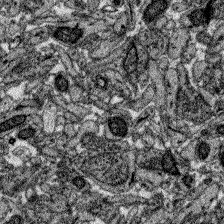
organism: Zebrafish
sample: Larval olfactory bulb